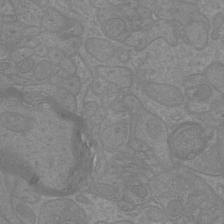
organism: Mouse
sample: Cortical neurons